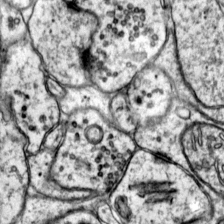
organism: Mouse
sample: Primary visual cortex